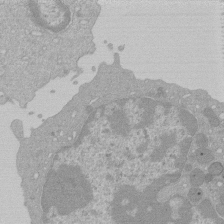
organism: Mouse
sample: Activated Pmel transgenic CD8+ T Cells